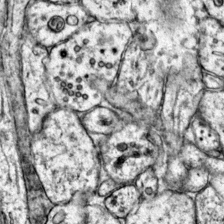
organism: Mouse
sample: Primary visual cortex